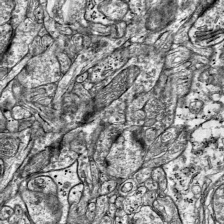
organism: Mouse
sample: Visual Cortex